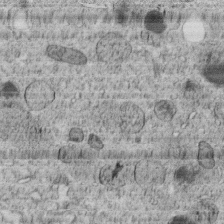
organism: C. elegans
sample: C. elegans embryo early stage